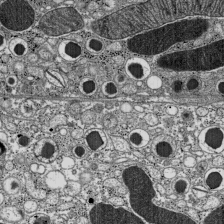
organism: C57BL Mouse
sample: Pancreatic islet